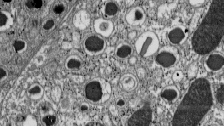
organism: C57BL Mouse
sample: Pancreatic islet